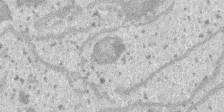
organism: Human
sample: Lung epithelial cells infected with SARS-CoV-2